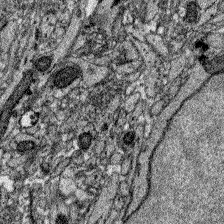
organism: Zebrafish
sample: Larval olfactory bulb